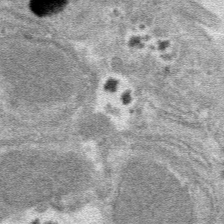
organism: Mouse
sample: Mouse hepatocytes